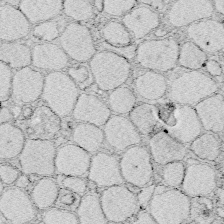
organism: Zebrafish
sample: Whole-Brain